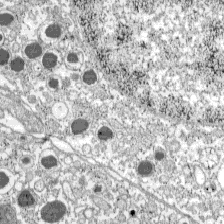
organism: C57BL Mouse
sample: Pancreatic islet